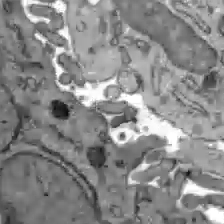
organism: C57BL Mouse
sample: Liver